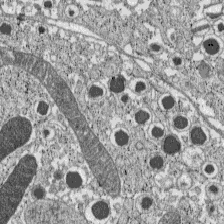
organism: C57BL Mouse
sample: Pancreatic islet